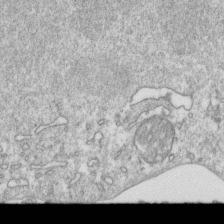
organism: Mouse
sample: Activated OT-1 CD8+ T cells